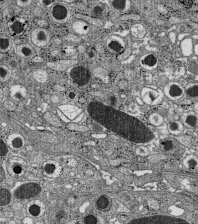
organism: C57BL Mouse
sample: Pancreatic islet